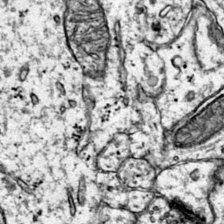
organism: Mouse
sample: Primary visual cortex